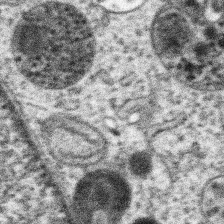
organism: Human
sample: HeLa cells